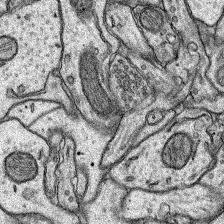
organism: Rat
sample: Hippocampus